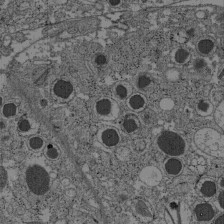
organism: C57BL Mouse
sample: Pancreatic islet